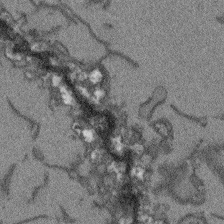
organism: Arabidopsis thaliana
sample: Root tip